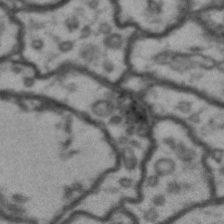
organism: Drosophila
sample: Brain